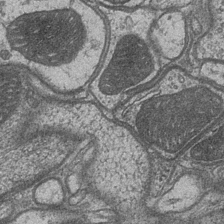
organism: Drosophila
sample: Optic medulla